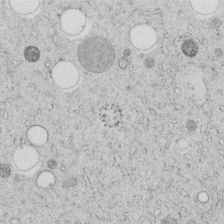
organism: C. elegans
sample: C. elegans embryo early stage